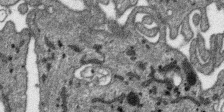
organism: Human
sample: Lung epithelial cells infected with SARS-CoV-2